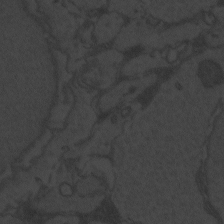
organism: Zebrafish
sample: Macrophage infected with Toxoplasma gondii